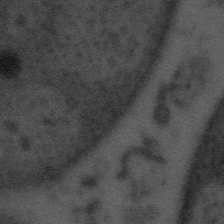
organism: Tuwongella immobilis